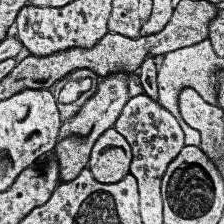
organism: Human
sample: Temporal Lobe